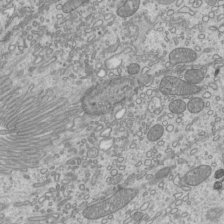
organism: Mouse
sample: Cilia; mouse epididymis